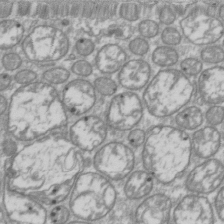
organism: Drosophila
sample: Cell division; meiosis; drosophila spermatocytes